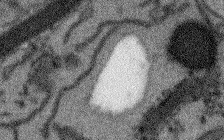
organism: Arabidopsis thaliana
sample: Root tip